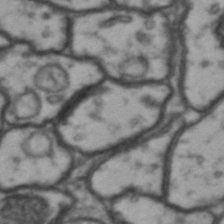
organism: Drosophila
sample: Brain